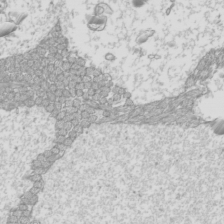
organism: Mouse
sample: Cilia; mouse epididymis